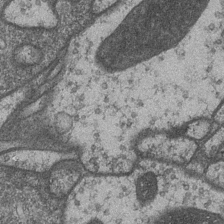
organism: Drosophila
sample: Optic medulla